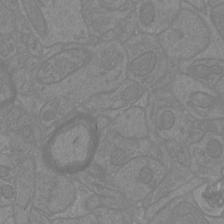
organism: Mouse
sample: Cortical neurons